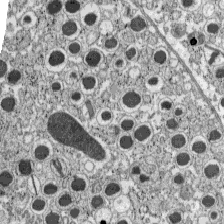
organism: C57BL Mouse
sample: Pancreatic islet